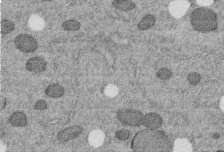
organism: C. elegans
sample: C. elegans embryo early stage